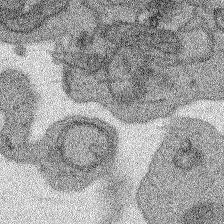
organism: Human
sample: HeLa cells